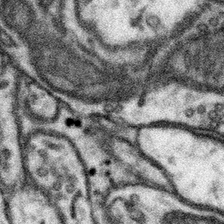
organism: Mouse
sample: Somatosensory cortex neuropil